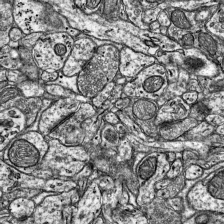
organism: Mouse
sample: Visual Cortex